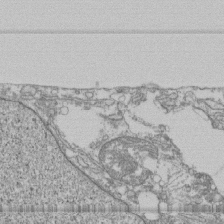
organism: Human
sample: Fibroblast cells